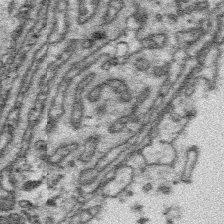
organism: Platynereis dumerilii